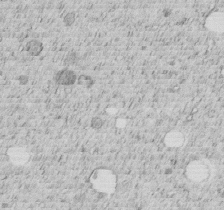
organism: C. elegans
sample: C. elegans embryo early stage